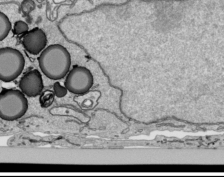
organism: Human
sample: Mitochondria in HCT116 cells